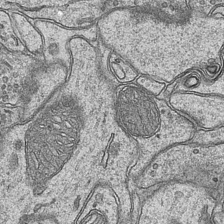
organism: Mouse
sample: CA1 Hippocampus